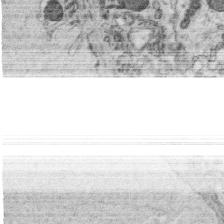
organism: C. elegans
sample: C. elegans oocyte; sperm cells